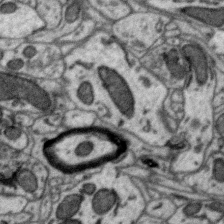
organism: Zebra finch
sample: Brain